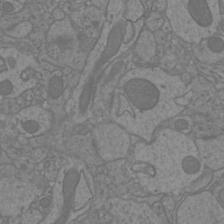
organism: Mouse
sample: Cortical neurons